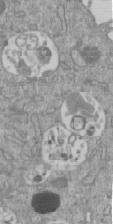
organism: Mouse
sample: ED-1 cell nuclei; centrioles